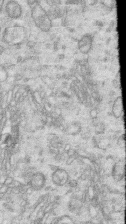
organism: Human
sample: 1205lu cells